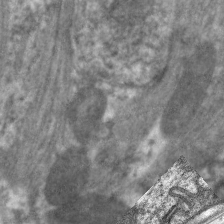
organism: C. elegans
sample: Pharynx